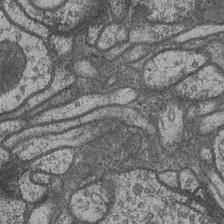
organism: Drosophila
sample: Optic medulla